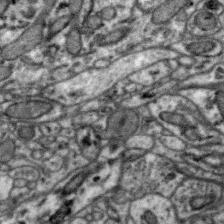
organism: Zebra finch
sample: Brain